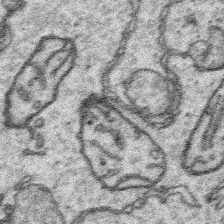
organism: Platynereis dumerilii